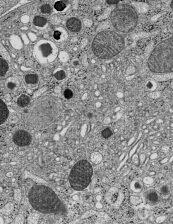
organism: C57BL Mouse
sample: Pancreatic islet